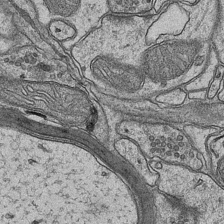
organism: Mouse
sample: CA1 Hippocampus